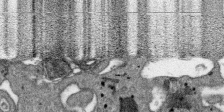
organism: Human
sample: Lung epithelial cells, uninfected (mock) control